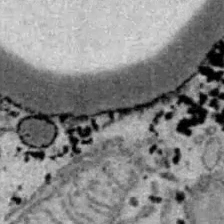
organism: Mouse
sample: Liver from an obese (ob/ob) mouse